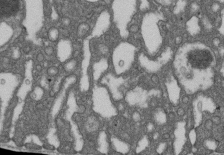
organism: Drosophila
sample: Nephrocyte